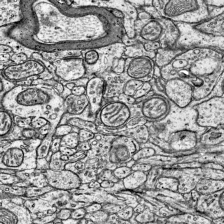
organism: Mouse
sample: Visual Cortex